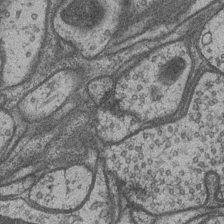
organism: Drosophila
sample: Optic medulla